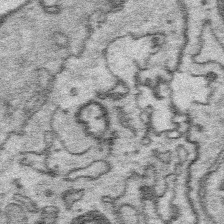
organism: Platynereis dumerilii